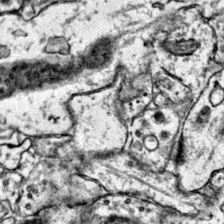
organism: Mouse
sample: Primary visual cortex